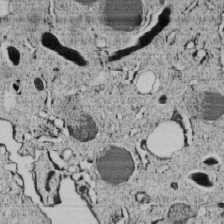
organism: C. elegans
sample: C. elegans embryo early stage